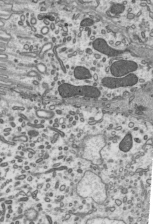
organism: Mouse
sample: Mouse epididymis efferent ductule cilia